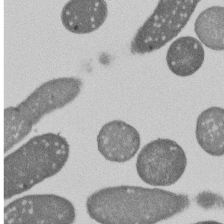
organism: E. coli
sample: Bacterial nucleoid